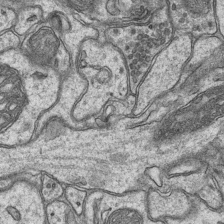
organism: Mouse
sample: CA1 Hippocampus